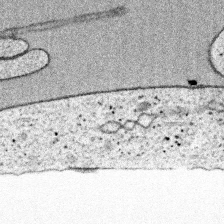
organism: Human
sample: HeLa cells